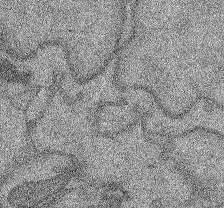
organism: Human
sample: HeLa cells